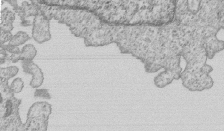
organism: Human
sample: MDA-MB-231 cells